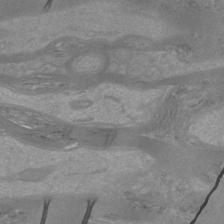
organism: Mouse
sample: Cortical neurons